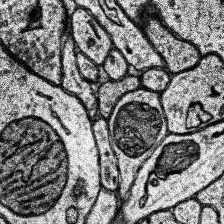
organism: Human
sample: Temporal Lobe